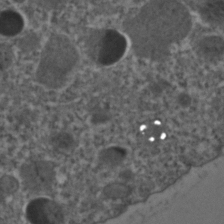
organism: C. elegans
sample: C. elegans embryo